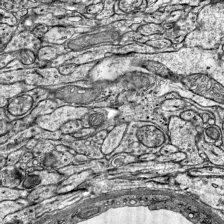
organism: Mouse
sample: Visual Cortex